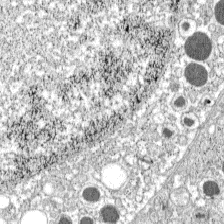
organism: C57BL Mouse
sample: Pancreatic islet